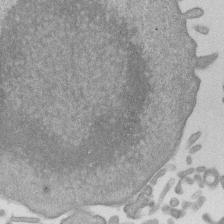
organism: Mouse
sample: Dividing mouse embryo 1 cell stage